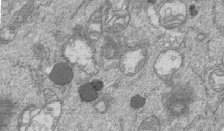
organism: Human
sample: MDA-MB-231 cells